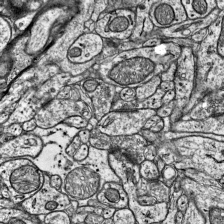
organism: Mouse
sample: Visual Cortex